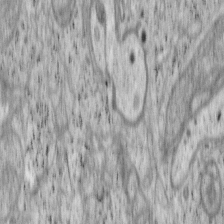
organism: Human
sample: HeLa cells